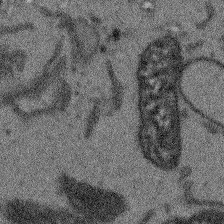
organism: Arabidopsis thaliana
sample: Root tip